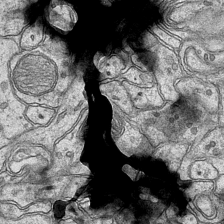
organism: Mouse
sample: CA1 Hippocampus